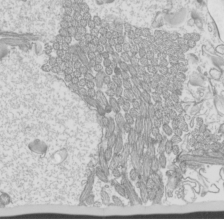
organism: Mouse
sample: Cilia; mouse epididymis